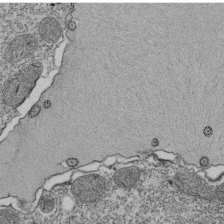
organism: Tetrahymena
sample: Cilia in tetrahymena